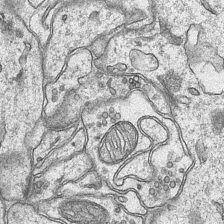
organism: Mouse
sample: CA1 Hippocampus